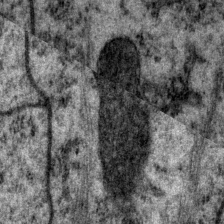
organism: P. pacificus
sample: Pharynx